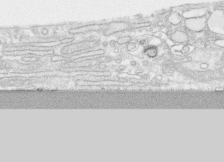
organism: Human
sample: CRL-1474